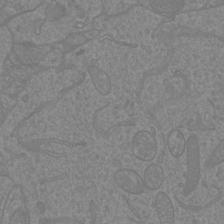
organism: Mouse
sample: Cortical neurons